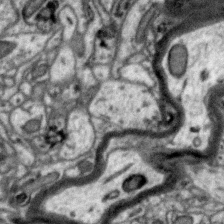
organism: Zebra finch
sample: Brain